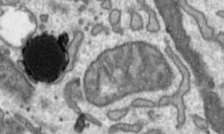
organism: Toxoplasma gondii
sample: Parasites in a vacuole inside a host cell